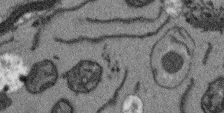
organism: Arabidopsis thaliana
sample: Root tip